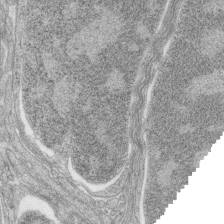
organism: Zebrafish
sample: synaptic ribbons in rod cells and cone cells